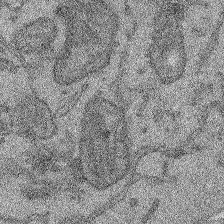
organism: Human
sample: HeLa cells